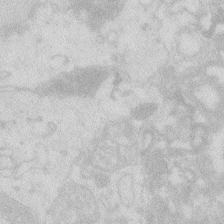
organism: Zebrafish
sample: Macrophage